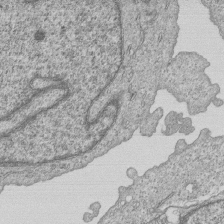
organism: Human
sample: MDA-MB-231 cells